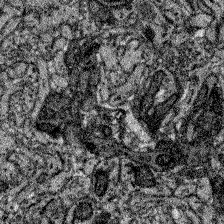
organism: Zebrafish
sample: Larval olfactory bulb